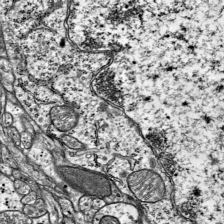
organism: Mouse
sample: Visual Cortex